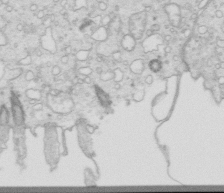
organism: Mouse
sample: Multiciliated cells